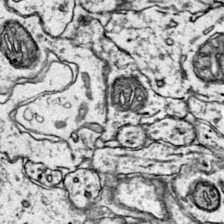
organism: Mouse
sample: Primary visual cortex